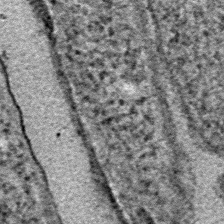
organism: E. coli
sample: E. Coli Bacteria